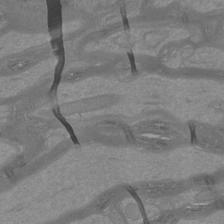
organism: Mouse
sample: Cortical neurons